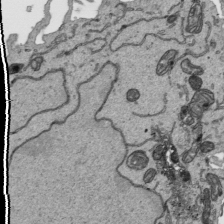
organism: Human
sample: Mitochondria in HCT116 cells